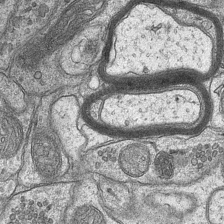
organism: Mouse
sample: CA1 Hippocampus